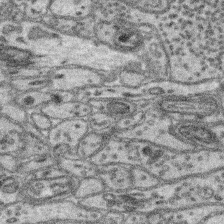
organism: Mouse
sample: Retina